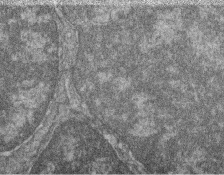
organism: Zebrafish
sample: Cilia; retinal pigment epithelium